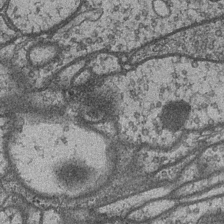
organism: Drosophila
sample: Optic medulla